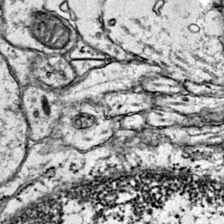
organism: Mouse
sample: Primary visual cortex